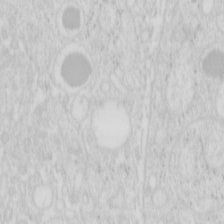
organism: Mouse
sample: Pancreas